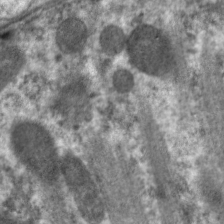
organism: C. elegans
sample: Pharynx